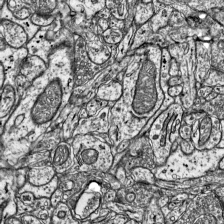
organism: Mouse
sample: Visual Cortex